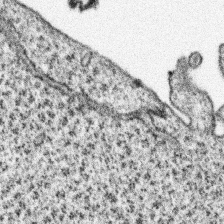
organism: Human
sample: HeLa cells